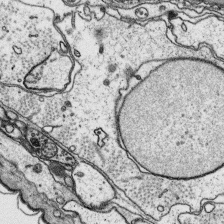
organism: Platynereis dumerilii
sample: Parapodia